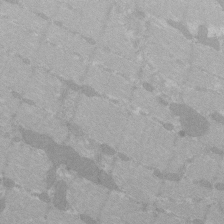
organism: C57BL Mouse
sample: Tibialis anterior muscle cell